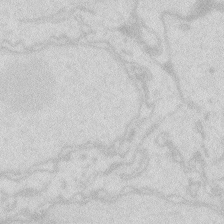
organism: Zebrafish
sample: Macrophage